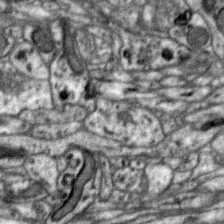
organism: Zebra finch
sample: Brain